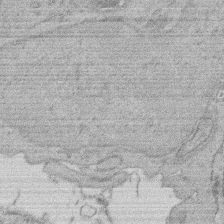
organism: Rat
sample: Salivary granule